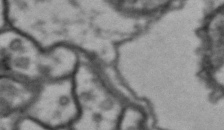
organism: Drosophila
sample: Brain